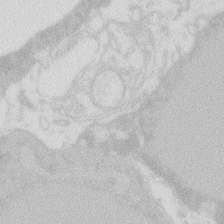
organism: Zebrafish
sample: Macrophage